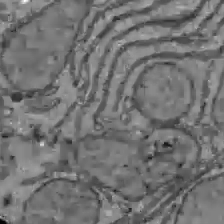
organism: C57BL Mouse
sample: Liver